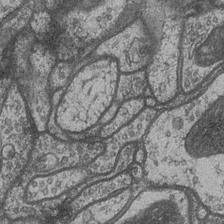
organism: Drosophila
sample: Optic medulla